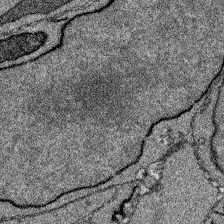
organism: Zebrafish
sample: Larval olfactory bulb